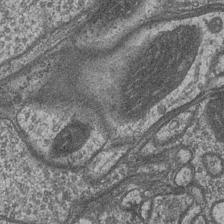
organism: Drosophila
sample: Optic medulla